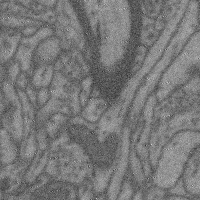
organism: Mouse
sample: Cerebral cortex